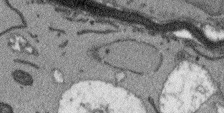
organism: Arabidopsis thaliana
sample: Root tip